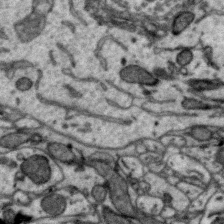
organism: Zebra finch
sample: Brain